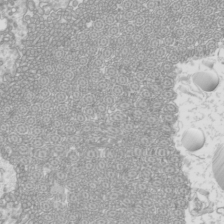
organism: Mouse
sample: Cilia; mouse epididymis